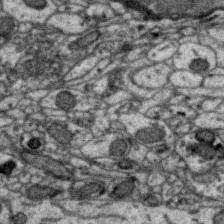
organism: Zebra finch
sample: Brain